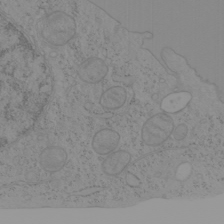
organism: Human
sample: HeLa cells